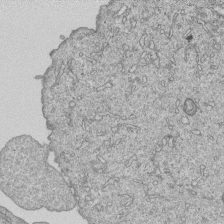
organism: Human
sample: MDA-MB-231 cells